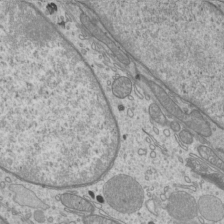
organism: Mouse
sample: Cilia; mouse epididymis